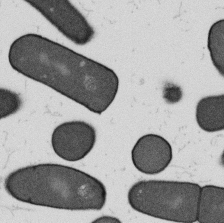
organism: B. subtilis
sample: Bacterial spore